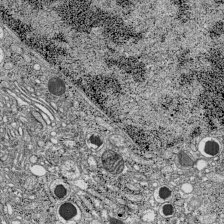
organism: C57BL Mouse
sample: Pancreatic islet